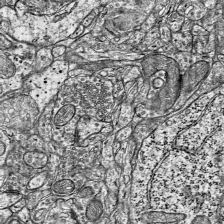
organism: Mouse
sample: Visual Cortex